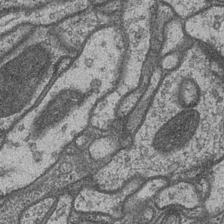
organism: Drosophila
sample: Optic medulla